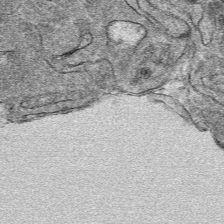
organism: Mouse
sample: Mouse hepatocytes